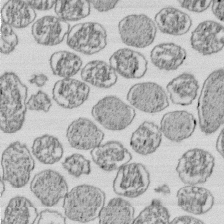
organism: E. coli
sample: Bacterial nucleoid